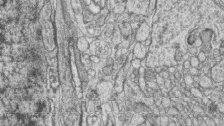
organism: Zebrafish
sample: synaptic ribbons in rod cells and cone cells